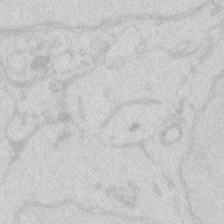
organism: Zebrafish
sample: Macrophage